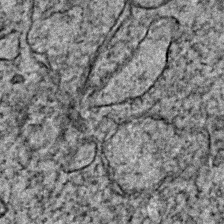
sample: Trachea